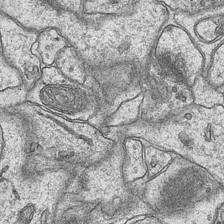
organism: Mouse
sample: CA1 Hippocampus